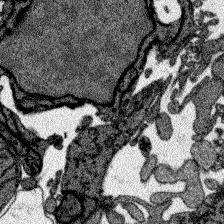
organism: Zebrafish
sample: Larval olfactory bulb